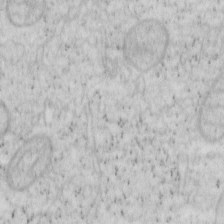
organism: Human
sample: HeLa cells